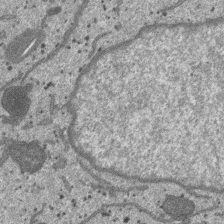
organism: Human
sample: Lung epithelial cells infected with SARS-CoV-2